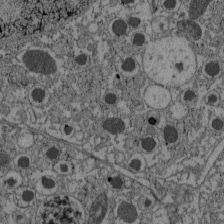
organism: C57BL Mouse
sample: Pancreatic islet